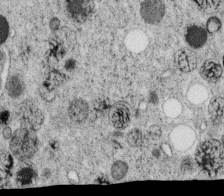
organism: C. elegans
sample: C. elegans oocyte; sperm cells